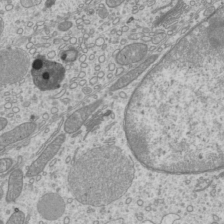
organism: Mouse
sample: Cilia; mouse epididymis